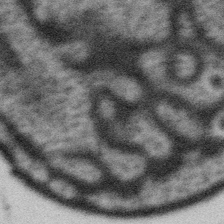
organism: Gemmata obscuriglobus